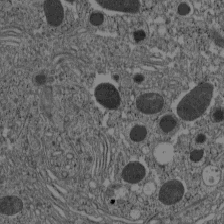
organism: C57BL Mouse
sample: Pancreatic islet